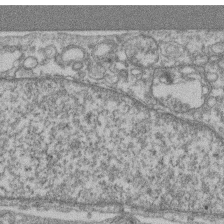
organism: Mouse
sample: T cell stromal cell synapse